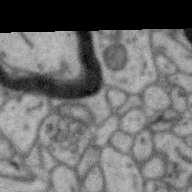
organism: Zebra finch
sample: Brain